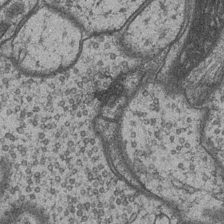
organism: Drosophila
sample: Optic medulla